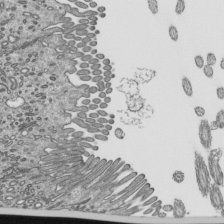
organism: Mouse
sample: Mouse epididymis efferent ductule cilia